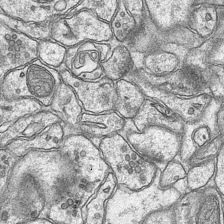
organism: Mouse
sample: CA1 Hippocampus